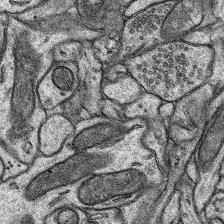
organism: Rat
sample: Hippocampus